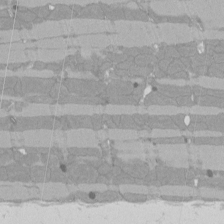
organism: Rat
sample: Left ventricle